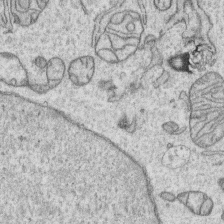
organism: Human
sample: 1205lu cells